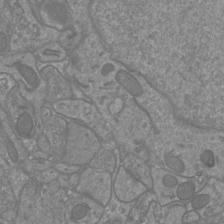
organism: Mouse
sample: Cortical neurons